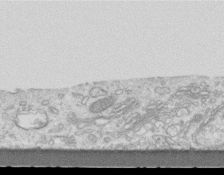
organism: Mouse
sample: Centriole in ependymal cells